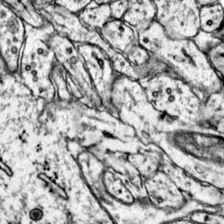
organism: Mouse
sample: Primary visual cortex